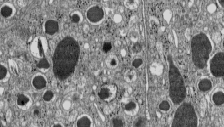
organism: C57BL Mouse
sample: Pancreatic islet